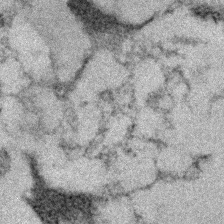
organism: Human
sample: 1205lu cells